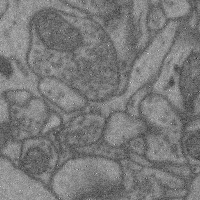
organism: Mouse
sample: Cerebral cortex